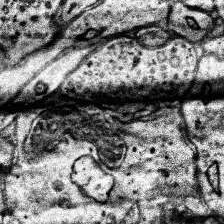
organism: Human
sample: Temporal Lobe